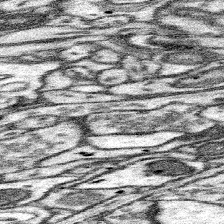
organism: Mouse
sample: Somatosensory cortex neuropil